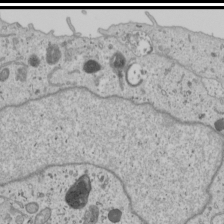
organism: Human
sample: Mitochondria in U2OS cells